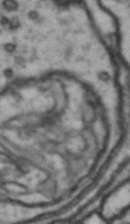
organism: Drosophila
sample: Brain